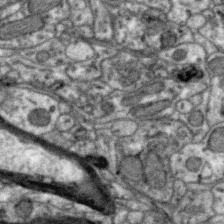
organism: Zebra finch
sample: Brain